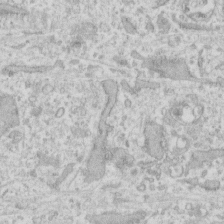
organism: Human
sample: Fibroblast cells